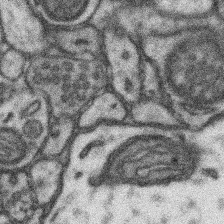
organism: Mouse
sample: Somatosensory cortex neuropil